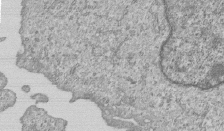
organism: Human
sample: MDA-MB-231 cells